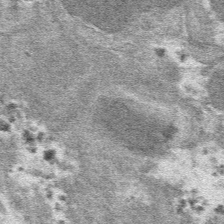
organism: Mouse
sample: Mouse hepatocytes